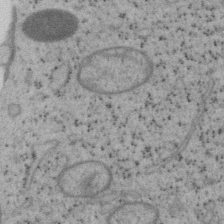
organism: Human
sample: HeLa cells